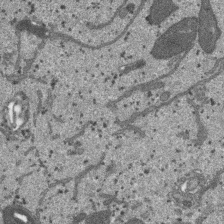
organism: Human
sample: Lung epithelial cells infected with SARS-CoV-2